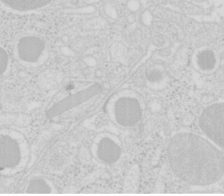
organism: Mouse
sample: Pancreas